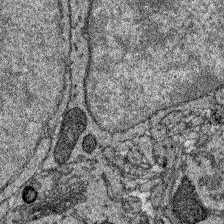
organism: Zebrafish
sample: Larval olfactory bulb